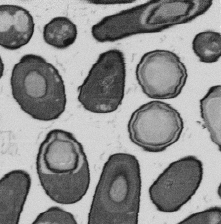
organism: B. subtilis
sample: Bacterial spore